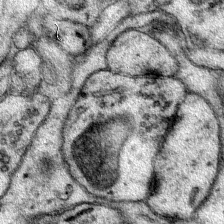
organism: Mouse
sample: Primary visual cortex